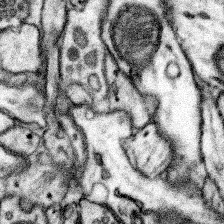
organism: Mouse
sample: Somatosensory cortex neuropil